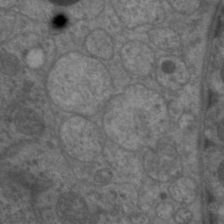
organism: C. elegans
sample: Pharynx